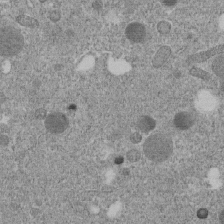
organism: C. elegans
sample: C. elegans embryo early stage